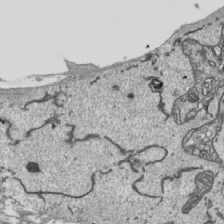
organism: Human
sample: Mitochondria in HCT116 cells